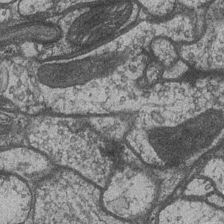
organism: Drosophila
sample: Optic medulla